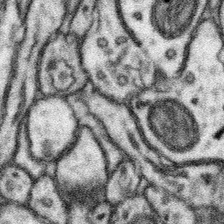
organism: Mouse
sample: Somatosensory cortex neuropil